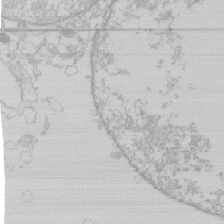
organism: Human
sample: Macrophage cells